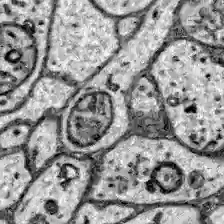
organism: Zebrafish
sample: Brain